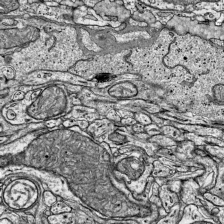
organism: Mouse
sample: Visual Cortex